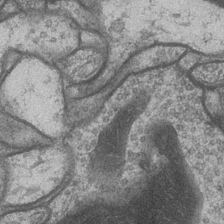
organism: Drosophila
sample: Optic medulla